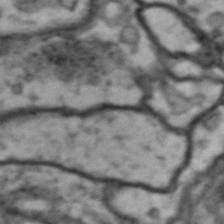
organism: Drosophila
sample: Brain